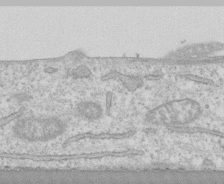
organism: Human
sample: CRL-1474